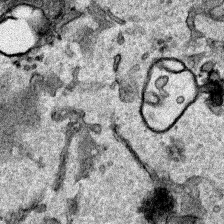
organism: Human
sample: Mitochondria in HCT116 cells